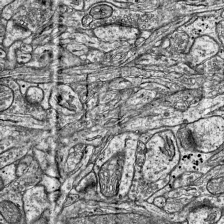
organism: Mouse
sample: Visual Cortex